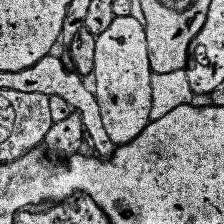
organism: Human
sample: Temporal Lobe